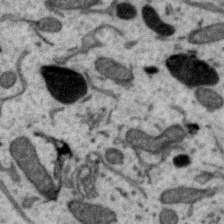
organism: Zebra finch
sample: Brain